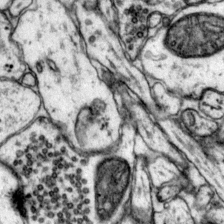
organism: Mouse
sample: Primary visual cortex